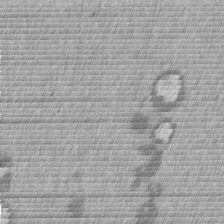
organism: Mouse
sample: Dividing mouse embryo 1 cell stage